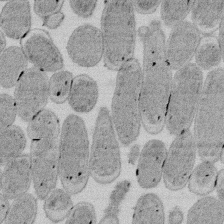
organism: E. coli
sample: Bacterial nucleoid